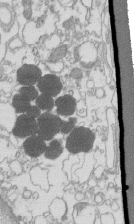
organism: Mouse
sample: Macrophages